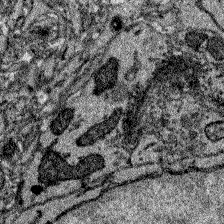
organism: Zebrafish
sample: Larval olfactory bulb